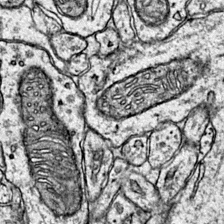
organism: Mouse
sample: Primary visual cortex